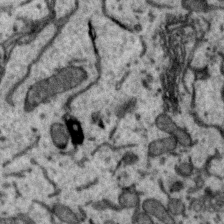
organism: Zebra finch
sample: Brain